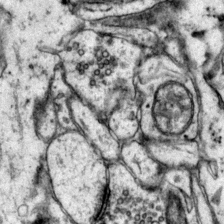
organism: Mouse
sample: Primary visual cortex